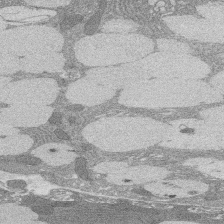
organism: Rat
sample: Salivary granule